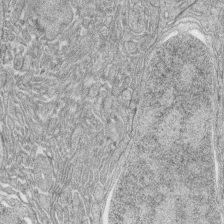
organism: Zebrafish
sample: synaptic ribbons in rod cells and cone cells